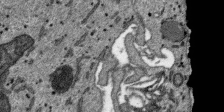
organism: Human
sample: Lung epithelial cells, uninfected (mock) control